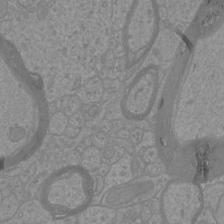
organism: Mouse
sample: Cortical neurons